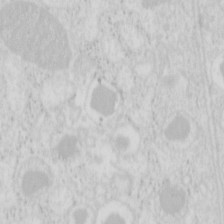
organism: Mouse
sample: Pancreas